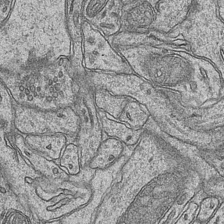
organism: Mouse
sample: CA1 Hippocampus